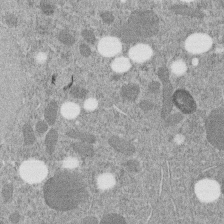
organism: C. elegans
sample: C. elegans embryo early stage